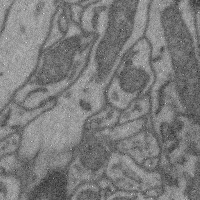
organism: Mouse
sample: Cerebral cortex